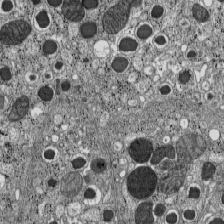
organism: C57BL Mouse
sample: Pancreatic islet